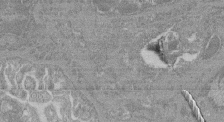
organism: Mouse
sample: Glomerulus